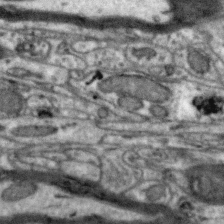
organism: Zebra finch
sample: Brain